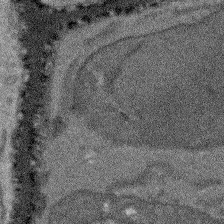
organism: Arabidopsis thaliana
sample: Root tip